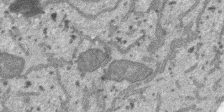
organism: Human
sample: Lung epithelial cells infected with SARS-CoV-2